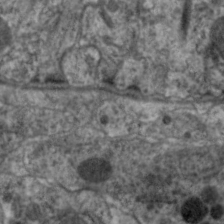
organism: C. elegans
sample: Pharynx